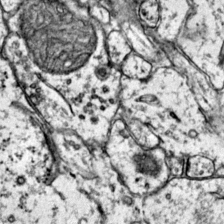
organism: Mouse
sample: Primary visual cortex